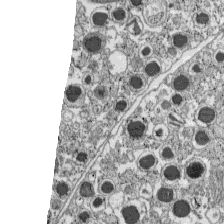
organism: C57BL Mouse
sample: Pancreatic islet